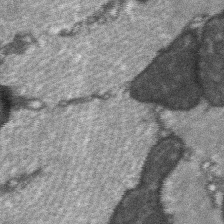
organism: C57BL Mouse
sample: Soleus